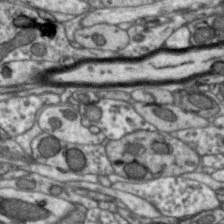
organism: Zebra finch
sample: Brain